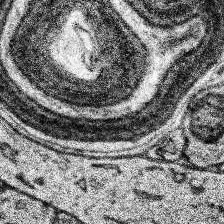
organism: Human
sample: Temporal Lobe